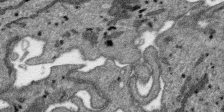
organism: Human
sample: Lung epithelial cells, uninfected (mock) control